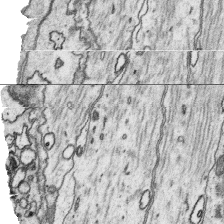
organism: Platynereis dumerilii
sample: Parapodia